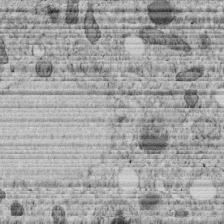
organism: C. elegans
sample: C. elegans embryo early stage